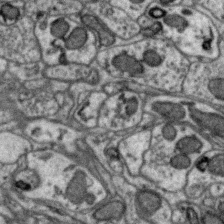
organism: Zebra finch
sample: Brain